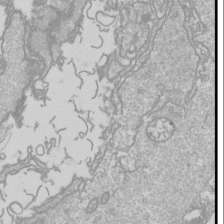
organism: Drosophila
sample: Cell division; meiosis; drosophila spermatocytes